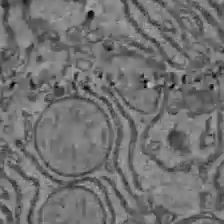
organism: C57BL Mouse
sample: Liver